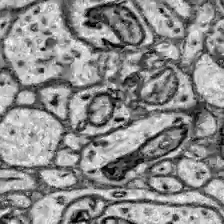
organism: Zebrafish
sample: Brain